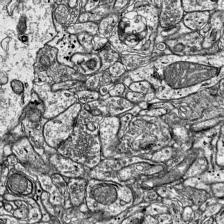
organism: Mouse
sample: Visual Cortex